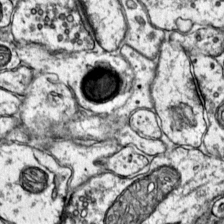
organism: Mouse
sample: Primary visual cortex